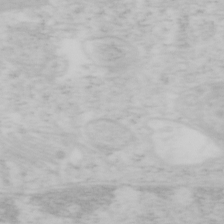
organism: Mouse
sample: OT-I killer T cells with ID8 ovarian cancer cells